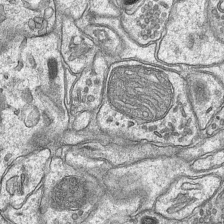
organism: Mouse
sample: CA1 Hippocampus